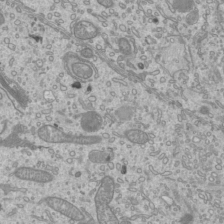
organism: Mouse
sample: Cilia; mouse epididymis